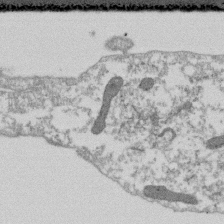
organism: Dictyostelium discoideum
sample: Dictyostelium multivesicular bodies